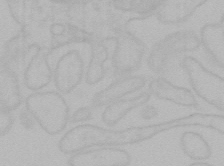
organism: Mouse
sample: Choroid plexus